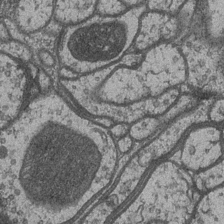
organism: Drosophila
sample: Optic medulla